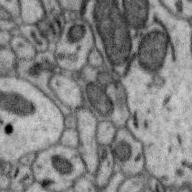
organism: Zebra finch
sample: Brain